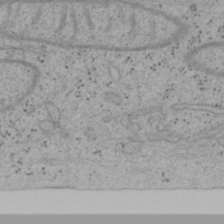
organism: Human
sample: HeLa cells